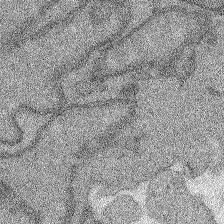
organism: Human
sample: HeLa cells